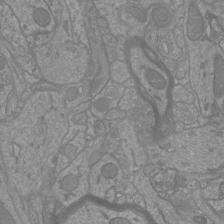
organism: Mouse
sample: Cortical neurons